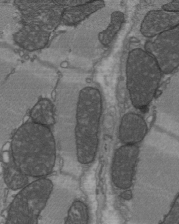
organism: C57BL Mouse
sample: Heart